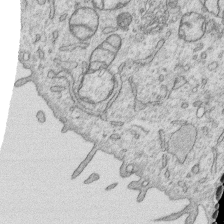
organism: Human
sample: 1205lu cells